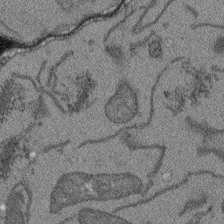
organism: Arabidopsis thaliana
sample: Root tip